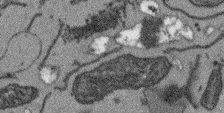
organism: Arabidopsis thaliana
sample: Root tip